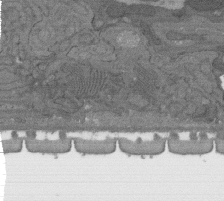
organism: C. elegans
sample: AFD neurons C. elegans